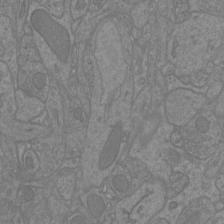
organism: Mouse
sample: Cortical neurons